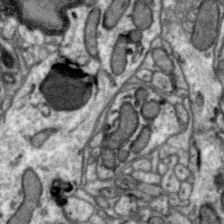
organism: Zebra finch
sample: Brain